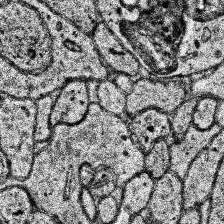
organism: Human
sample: Temporal Lobe